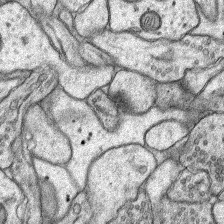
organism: Rat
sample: Hippocampus